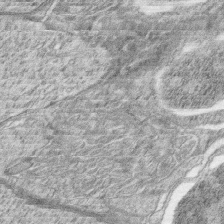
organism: Zebrafish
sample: synaptic ribbons in rod cells and cone cells